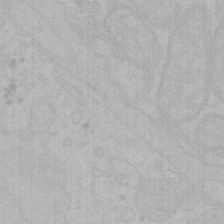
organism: Mouse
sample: Choroid plexus